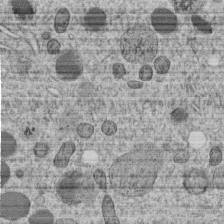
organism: C. elegans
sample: C. elegans embryo early stage